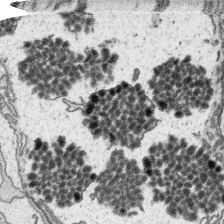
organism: Platynereis dumerilii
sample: Parapodia